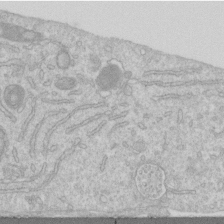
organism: Human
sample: Centriole in RPE cells